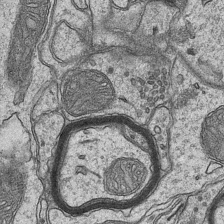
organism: Mouse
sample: CA1 Hippocampus